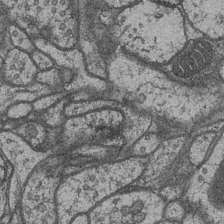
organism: Drosophila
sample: Optic medulla